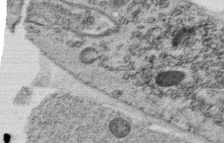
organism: C. elegans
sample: C. elegans oocyte; sperm cells